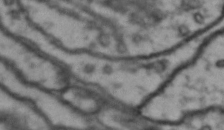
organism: Drosophila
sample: Brain